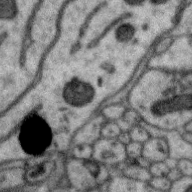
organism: Zebra finch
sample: Brain